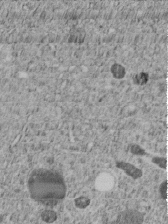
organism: C. elegans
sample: C. elegans embryo early stage